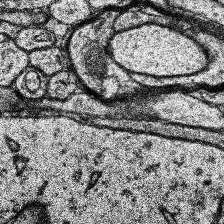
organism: Human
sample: Temporal Lobe